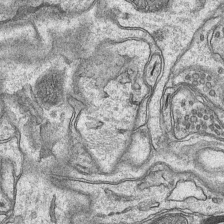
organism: Mouse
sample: CA1 Hippocampus